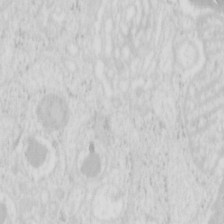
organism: Mouse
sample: Pancreas